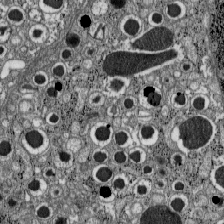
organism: C57BL Mouse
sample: Pancreatic islet